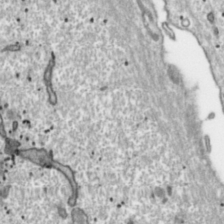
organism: Toxoplasma gondii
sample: Parasites in a vacuole inside a host cell